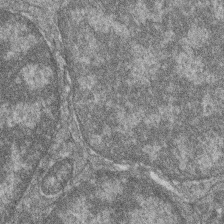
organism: Zebrafish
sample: Cilia; retinal pigment epithelium